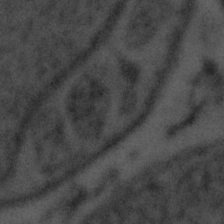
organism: Tuwongella immobilis